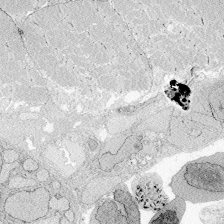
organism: Zebrafish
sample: Whole-Brain